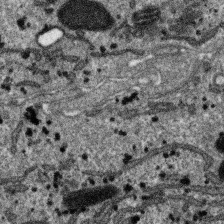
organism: Human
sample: Lung epithelial cells infected with SARS-CoV-2